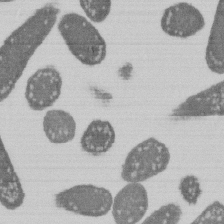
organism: E. coli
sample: Bacterial nucleoid